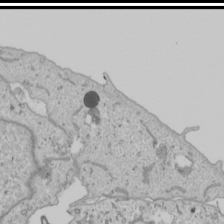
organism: Human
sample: Mitochondria in U2OS cells